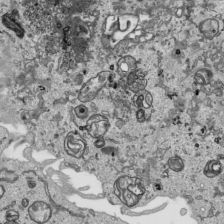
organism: Human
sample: Mitochondria in HCT116 cells